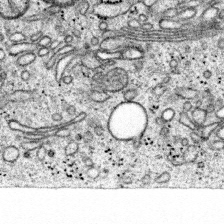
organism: Human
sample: HeLa cells